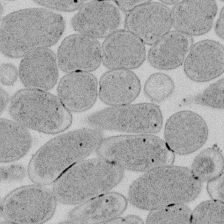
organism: E. coli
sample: Bacterial nucleoid